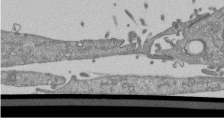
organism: Mouse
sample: ED-1 cell nuclei; centrioles